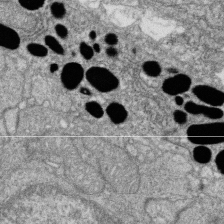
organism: Zebrafish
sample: Cilia; retinal pigment epithelium